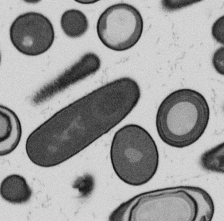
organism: B. subtilis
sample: Bacterial spore